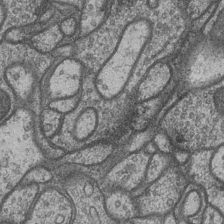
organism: Drosophila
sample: Optic medulla